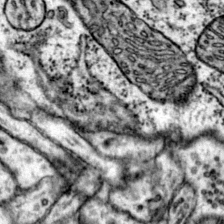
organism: Mouse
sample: Primary visual cortex